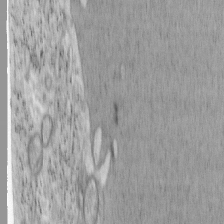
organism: Human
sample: HeLa cells